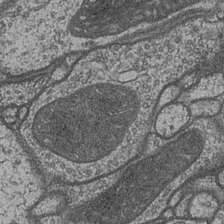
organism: Drosophila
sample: Optic medulla